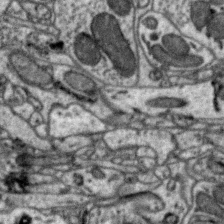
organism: Zebra finch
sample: Brain